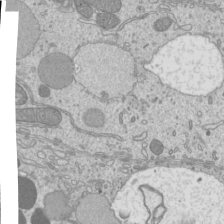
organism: Mouse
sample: Cilia; mouse epididymis